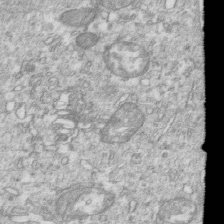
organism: Mouse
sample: Activated OT-1 CD8+ T cells